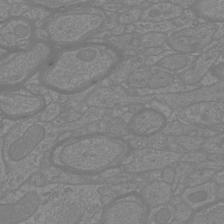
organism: Mouse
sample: Cortical neurons